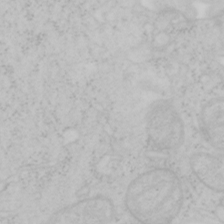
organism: Mouse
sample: OT-I killer T cells with ID8 ovarian cancer cells